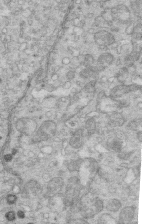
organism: Mouse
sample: Multiciliated cells